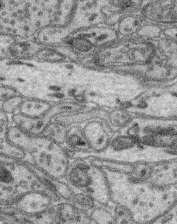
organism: Mouse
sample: Retina